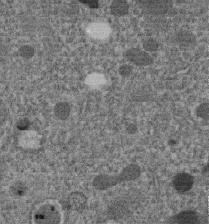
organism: C. elegans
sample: C. elegans embryo early stage